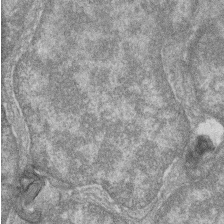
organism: Zebrafish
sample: Cilia; retinal pigment epithelium